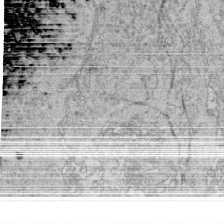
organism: Mouse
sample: Multiciliated cells